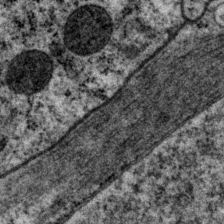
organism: P. pacificus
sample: Pharynx